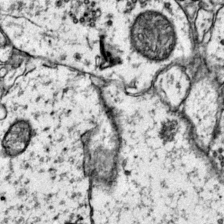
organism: Mouse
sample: Primary visual cortex